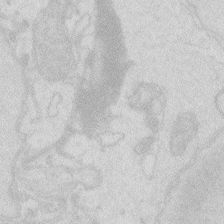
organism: Zebrafish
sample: Macrophage